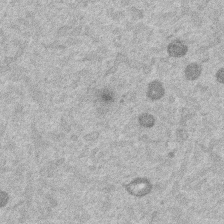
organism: Mouse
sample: Dividing mouse embryo 1 cell stage